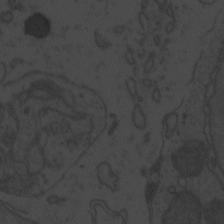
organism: Zebrafish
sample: Macrophage infected with Toxoplasma gondii